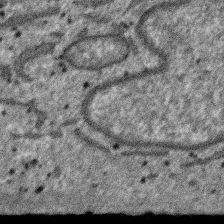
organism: Human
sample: Lung epithelial cells infected with SARS-CoV-2